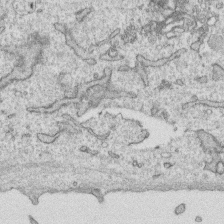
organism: Human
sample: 1205lu cells